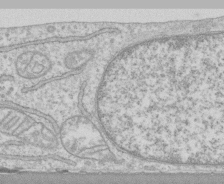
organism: Human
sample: CRL-1474